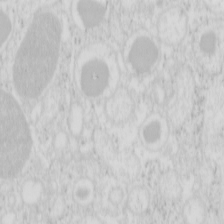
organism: Mouse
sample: Pancreas